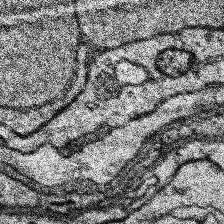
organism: Human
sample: Temporal Lobe